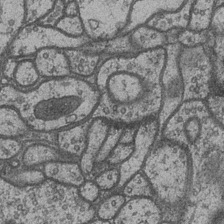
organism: Drosophila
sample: Optic medulla